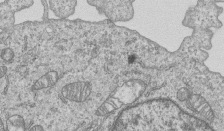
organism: Human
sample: MDA-MB-231 cells